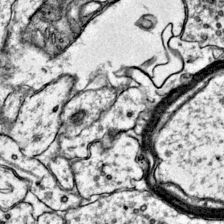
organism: Mouse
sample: Primary visual cortex